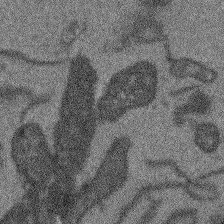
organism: Arabidopsis thaliana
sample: Root tip